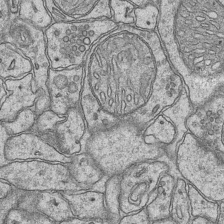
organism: Mouse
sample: CA1 Hippocampus